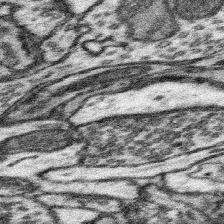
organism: Mouse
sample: Somatosensory cortex neuropil